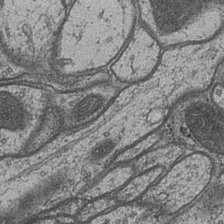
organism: Drosophila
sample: Optic medulla